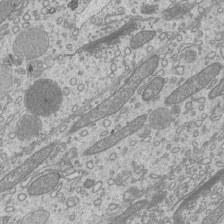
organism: Mouse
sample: Cilia; mouse epididymis